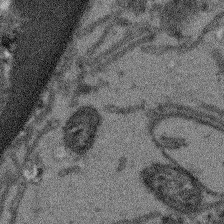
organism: Arabidopsis thaliana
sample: Root tip